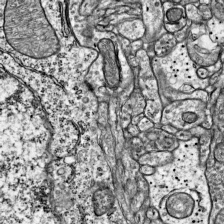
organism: Mouse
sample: Visual Cortex